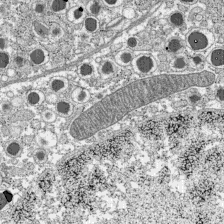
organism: C57BL Mouse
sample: Pancreatic islet